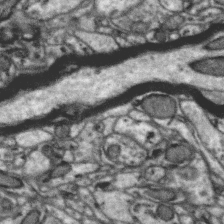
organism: Zebra finch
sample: Brain